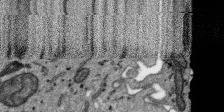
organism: Human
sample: Lung epithelial cells, uninfected (mock) control